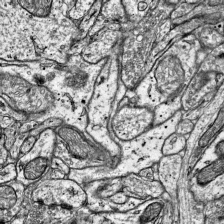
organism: Mouse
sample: Visual Cortex